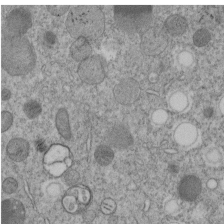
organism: C. elegans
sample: C. elegans embryo early stage